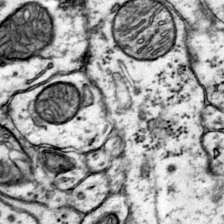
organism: Mouse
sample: Primary visual cortex